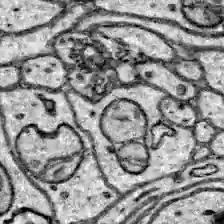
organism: Zebrafish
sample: Brain